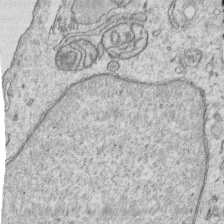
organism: Human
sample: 1205lu cells